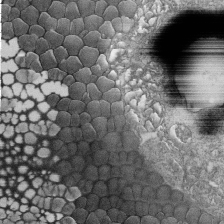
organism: Tetrahymena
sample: Cilia in tetrahymena